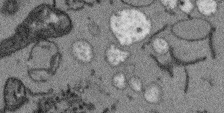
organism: Arabidopsis thaliana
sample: Root tip